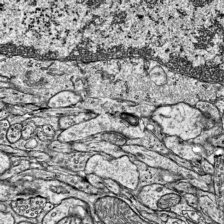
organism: Mouse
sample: Visual Cortex